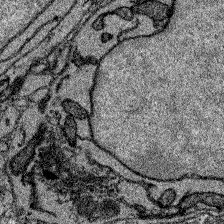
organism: Zebrafish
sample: Larval olfactory bulb